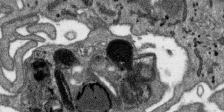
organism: Human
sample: Lung epithelial cells, uninfected (mock) control